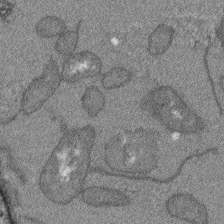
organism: Arabidopsis thaliana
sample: Root tip